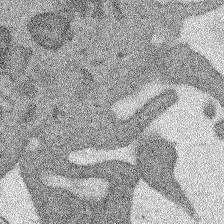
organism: Human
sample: HeLa cells